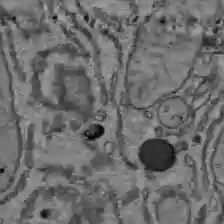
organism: C57BL Mouse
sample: Liver